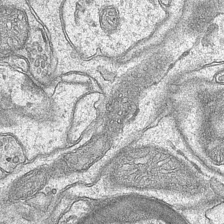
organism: Mouse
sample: CA1 Hippocampus